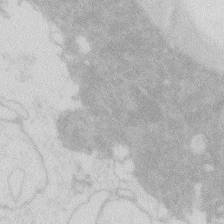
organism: Zebrafish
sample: Macrophage